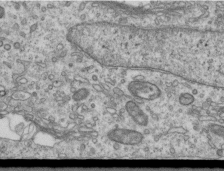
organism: Human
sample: Centriole in RPE cells